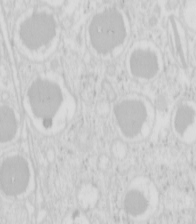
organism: Mouse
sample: Pancreas